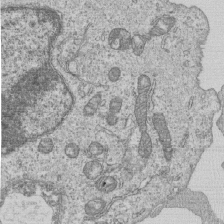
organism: Human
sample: MDA-MB-231 cells